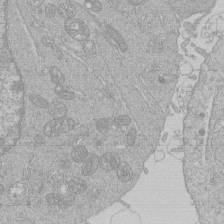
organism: Human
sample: Macrophage cells